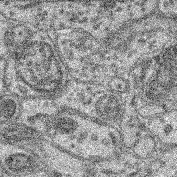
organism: Mouse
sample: Retina